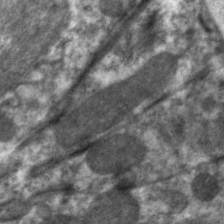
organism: C. elegans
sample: Pharynx